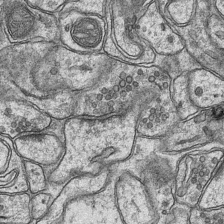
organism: Mouse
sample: CA1 Hippocampus